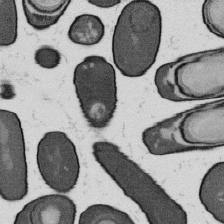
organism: B. subtilis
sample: Bacterial spore